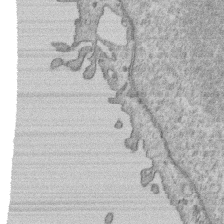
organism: Human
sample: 1205lu cells